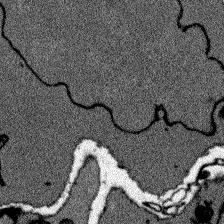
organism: Zebrafish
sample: Larval olfactory bulb